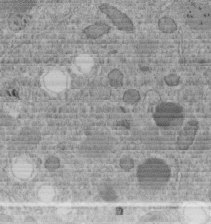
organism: C. elegans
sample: C. elegans embryo early stage